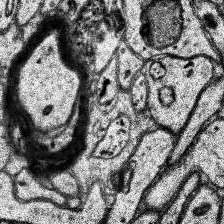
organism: Human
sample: Temporal Lobe